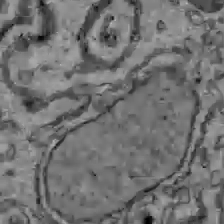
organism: C57BL Mouse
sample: Liver